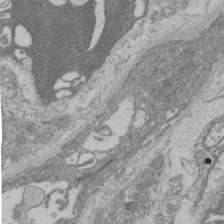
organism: Rat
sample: Salivary granule